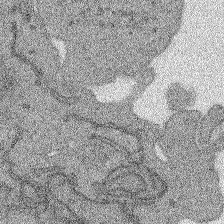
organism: Human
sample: HeLa cells